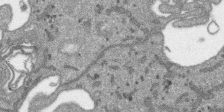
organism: Human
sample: Lung epithelial cells infected with SARS-CoV-2